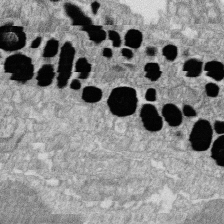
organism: Zebrafish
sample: Cilia; retinal pigment epithelium